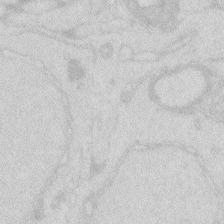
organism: Zebrafish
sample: Macrophage